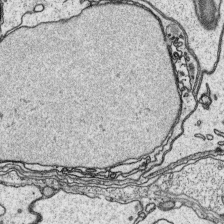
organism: Platynereis dumerilii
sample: Parapodia